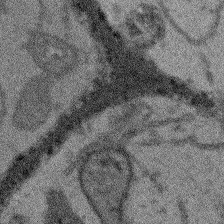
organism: Arabidopsis thaliana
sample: Root tip